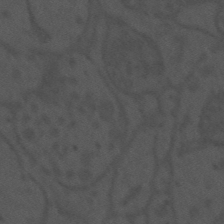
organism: Mouse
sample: Suprachiasmatic nucleus